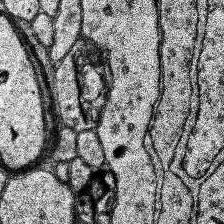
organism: Human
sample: Temporal Lobe